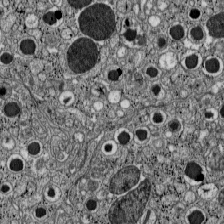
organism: C57BL Mouse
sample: Pancreatic islet